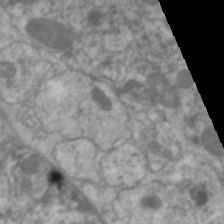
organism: C. elegans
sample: Pharynx